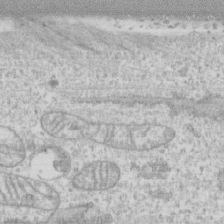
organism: Human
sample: CRL-1474